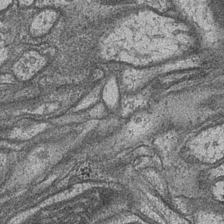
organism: Drosophila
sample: Optic medulla